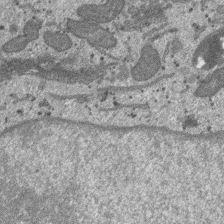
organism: Human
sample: Lung epithelial cells infected with SARS-CoV-2